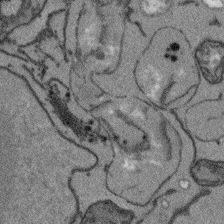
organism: Arabidopsis thaliana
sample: Root tip